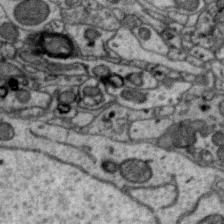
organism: Zebra finch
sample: Brain